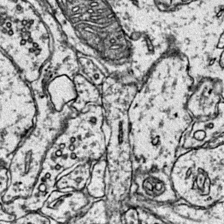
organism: Mouse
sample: Primary visual cortex